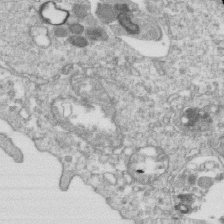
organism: Mouse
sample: Activated OT-1 CD8+ T cells